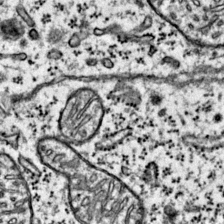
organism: Mouse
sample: Primary visual cortex